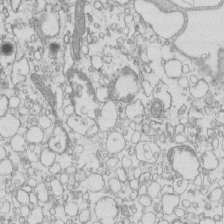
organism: Mouse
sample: Macrophages